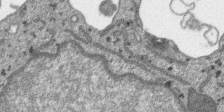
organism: Human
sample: Lung epithelial cells infected with SARS-CoV-2